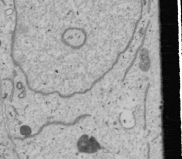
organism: Human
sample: Mitochondria in U2OS cells